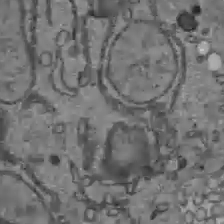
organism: C57BL Mouse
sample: Liver